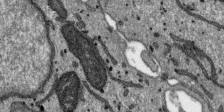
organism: Human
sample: Lung epithelial cells, uninfected (mock) control